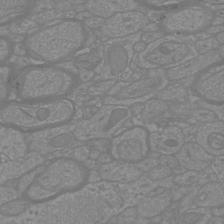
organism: Mouse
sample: Cortical neurons